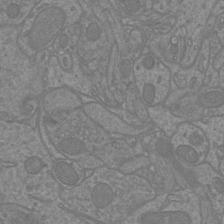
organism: Mouse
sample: Cortical neurons